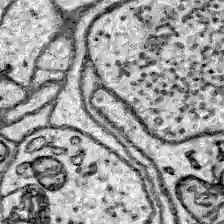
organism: Zebrafish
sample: Brain